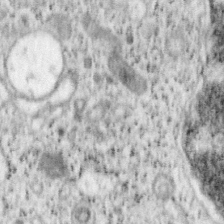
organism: Mouse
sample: OT-I killer T cells with ID8 ovarian cancer cells